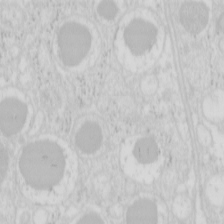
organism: Mouse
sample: Pancreas